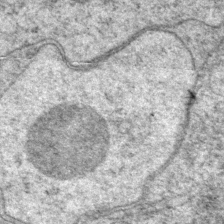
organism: P. pacificus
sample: Pharynx